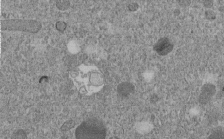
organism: C. elegans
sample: C. elegans embryo early stage